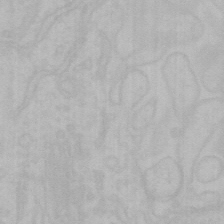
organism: Mouse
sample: Choroid plexus